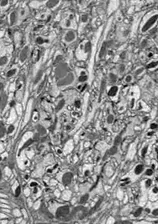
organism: Drosophila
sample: Optic lobe